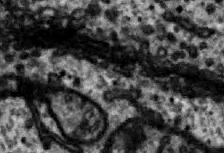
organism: Human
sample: HeLa cells